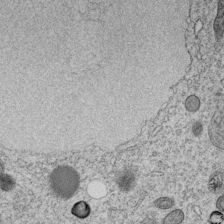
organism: C. elegans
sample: C. elegans embryo early stage